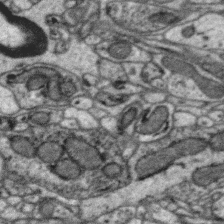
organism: Zebra finch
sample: Brain